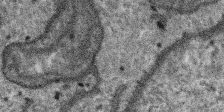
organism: Human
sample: Lung epithelial cells infected with SARS-CoV-2